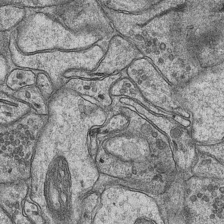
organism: Mouse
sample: CA1 Hippocampus